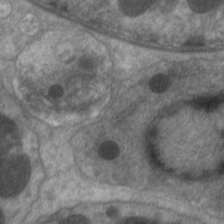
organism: C. elegans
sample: Pharynx